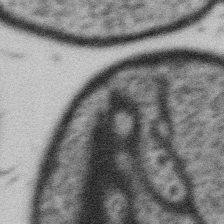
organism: Gemmata obscuriglobus